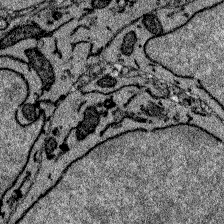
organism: Zebrafish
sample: Larval olfactory bulb